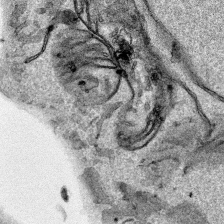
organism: Human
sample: Mitochondria in HCT116 cells